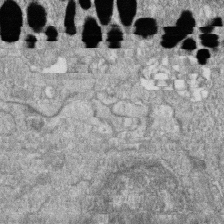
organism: Zebrafish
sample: Cilia; retinal pigment epithelium